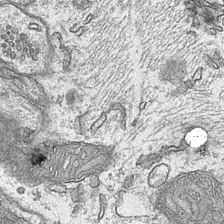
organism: Mouse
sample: CA1 Hippocampus